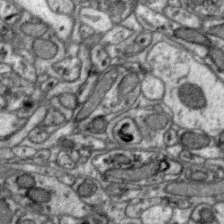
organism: Zebra finch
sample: Brain